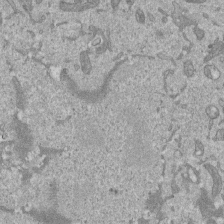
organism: Mouse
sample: ED-1 cell nuclei; centrioles